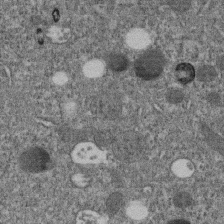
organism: C. elegans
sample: C. elegans embryo early stage